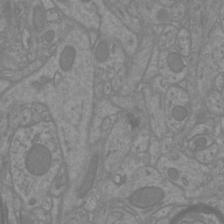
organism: Mouse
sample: Cortical neurons